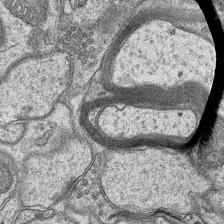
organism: Mouse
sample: CA1 Hippocampus